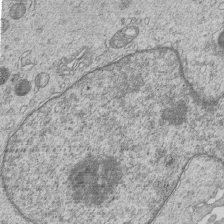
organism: Human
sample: MDA-MB-231 cells